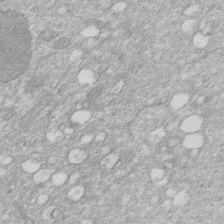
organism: Human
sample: HIV infected U937 cells